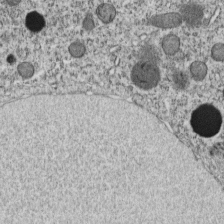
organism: C. elegans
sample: C. elegans embryo early stage